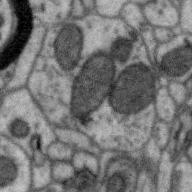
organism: Zebra finch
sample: Brain